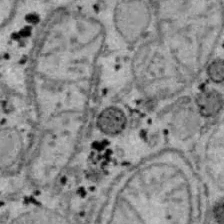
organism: Mouse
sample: Liver from an obese (ob/ob) mouse